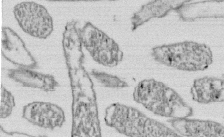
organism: E. coli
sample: Bacterial nucleoid